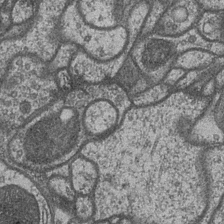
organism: Drosophila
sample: Optic medulla